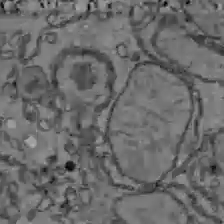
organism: C57BL Mouse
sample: Liver